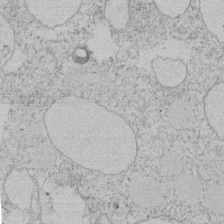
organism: Tetrahymena